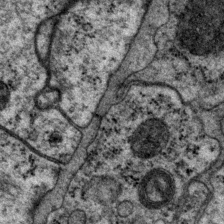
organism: P. pacificus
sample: Pharynx